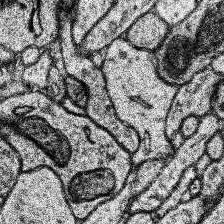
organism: Human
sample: Temporal Lobe